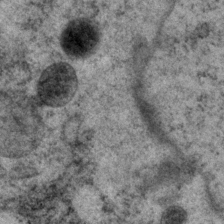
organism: P. pacificus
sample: Pharynx